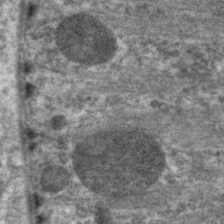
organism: C. elegans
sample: Pharynx